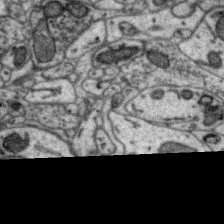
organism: Zebra finch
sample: Brain